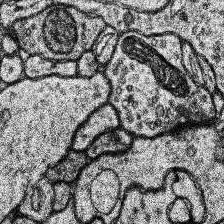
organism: Human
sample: Temporal Lobe